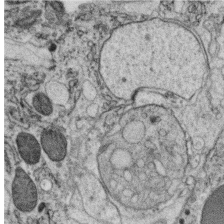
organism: C. elegans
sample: C. elegans oocyte; sperm cells